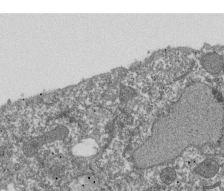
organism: Dictyostelium discoideum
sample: Dictyostelium multivesicular bodies